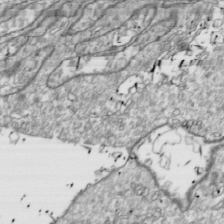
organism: Drosophila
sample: Cell division; meiosis; drosophila spermatocytes